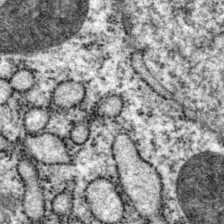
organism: P. pacificus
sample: Pharynx